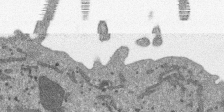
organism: Human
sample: Lung epithelial cells infected with SARS-CoV-2